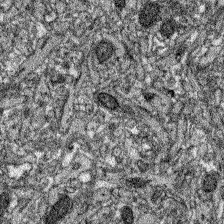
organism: Zebrafish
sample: Larval olfactory bulb